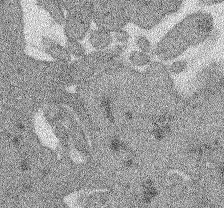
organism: Human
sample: HeLa cells